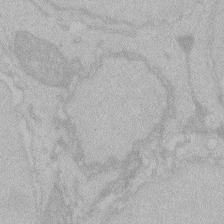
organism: Zebrafish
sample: Macrophage infected with Toxoplasma gondii